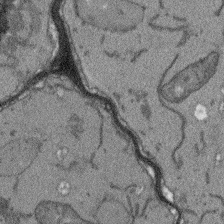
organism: Arabidopsis thaliana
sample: Root tip